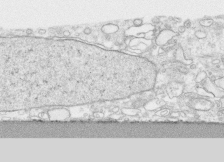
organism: Human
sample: CRL-1474